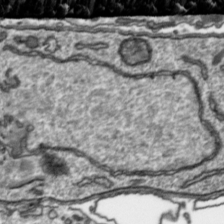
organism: Toxoplasma gondii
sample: Parasites in a vacuole inside a host cell